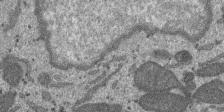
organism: Human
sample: Lung epithelial cells infected with SARS-CoV-2